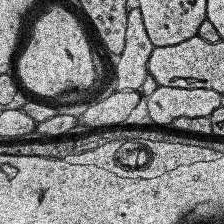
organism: Human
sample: Temporal Lobe